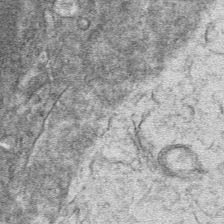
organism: Mouse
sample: Mouse hepatocytes